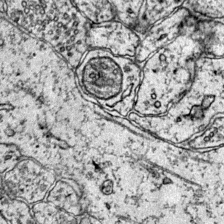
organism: Mouse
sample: Primary visual cortex